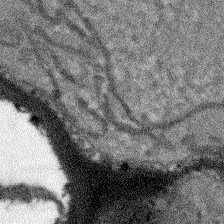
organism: Arabidopsis thaliana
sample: Root tip